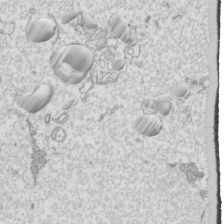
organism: Mouse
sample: Cilia; mouse epididymis